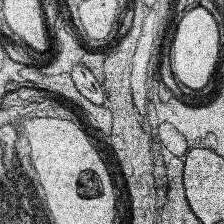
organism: Human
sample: Temporal Lobe